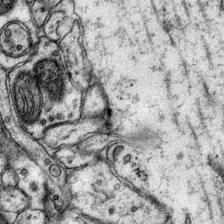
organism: Mouse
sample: Primary visual cortex